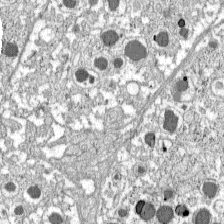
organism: C57BL Mouse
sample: Pancreatic islet